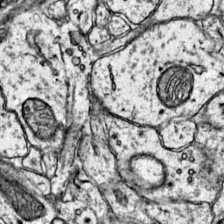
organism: Mouse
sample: Primary visual cortex